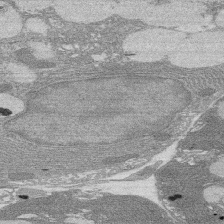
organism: Rat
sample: Salivary granule